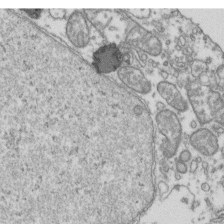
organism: Human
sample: Activated Jurkat CD4+ T cells